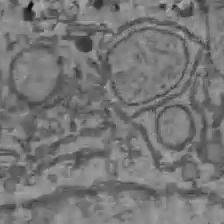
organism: C57BL Mouse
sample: Liver